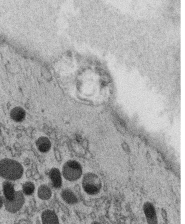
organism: C. elegans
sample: C. elegans oocyte; sperm cells